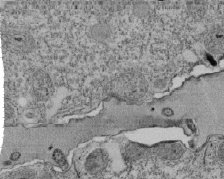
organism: Tetrahymena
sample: Cilia in tetrahymena